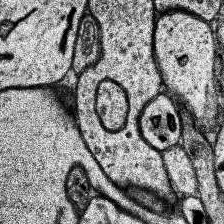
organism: Human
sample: Temporal Lobe